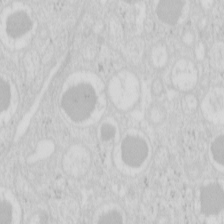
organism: Mouse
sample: Pancreas